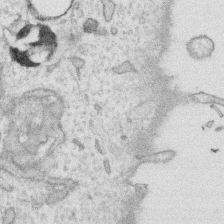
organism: Human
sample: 1205lu cells